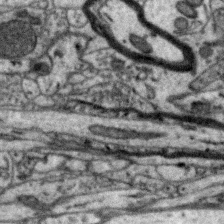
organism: Zebra finch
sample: Brain